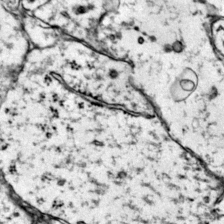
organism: Mouse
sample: Primary visual cortex